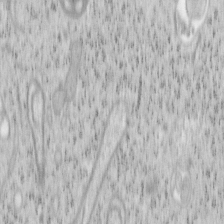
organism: Human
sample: HeLa cells